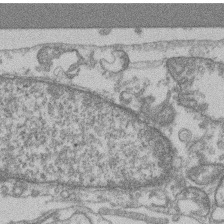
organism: Mouse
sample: T cell stromal cell synapse